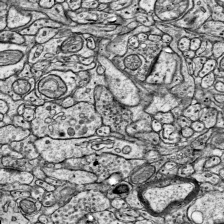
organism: Mouse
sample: Visual Cortex